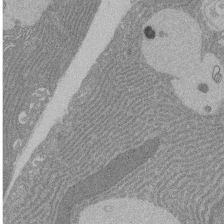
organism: Rat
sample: Salivary granule